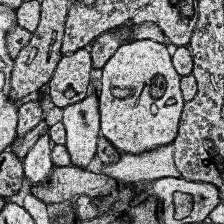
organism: Human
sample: Temporal Lobe